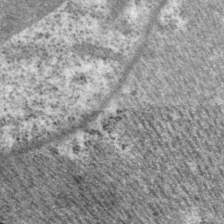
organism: P. pacificus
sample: Pharynx